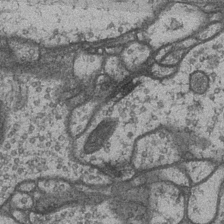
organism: Drosophila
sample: Optic medulla